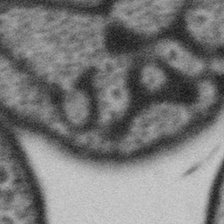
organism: Gemmata obscuriglobus